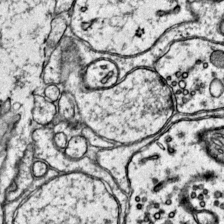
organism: Mouse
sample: Primary visual cortex